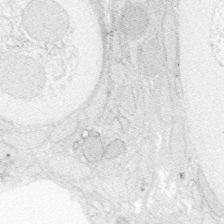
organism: Zebrafish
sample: Whole-Brain